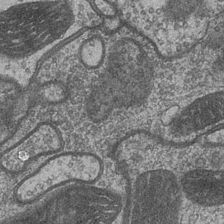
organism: Drosophila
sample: Optic medulla